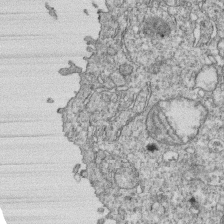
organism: Human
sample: HeLa cell HIV synapse